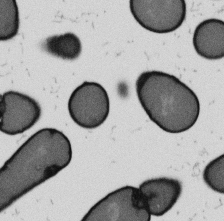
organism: B. subtilis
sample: Bacterial spore